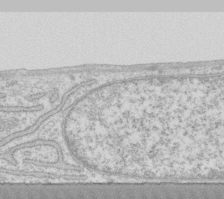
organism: Human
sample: Fibroblast cells